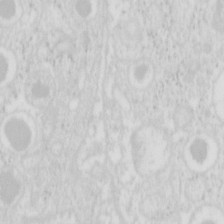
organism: Mouse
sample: Pancreas